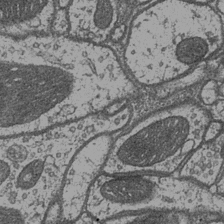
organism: Drosophila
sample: Optic medulla